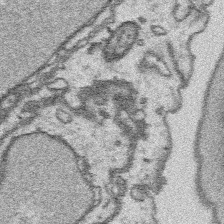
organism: Platynereis dumerilii